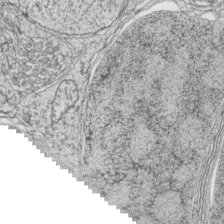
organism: Zebrafish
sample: synaptic ribbons in rod cells and cone cells